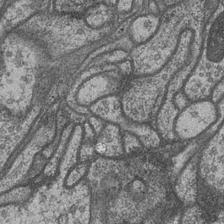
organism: Drosophila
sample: Optic medulla